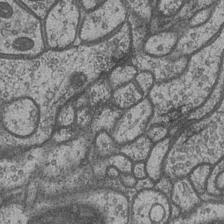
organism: Drosophila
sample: Optic medulla